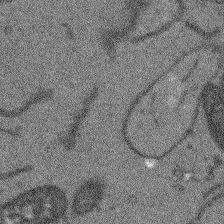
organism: Arabidopsis thaliana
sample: Root tip